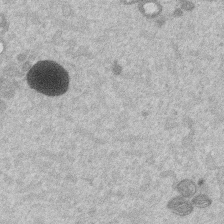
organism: Mouse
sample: Dividing mouse embryo 1 cell stage